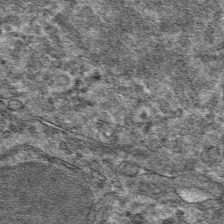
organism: Mouse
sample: Mouse hepatocytes